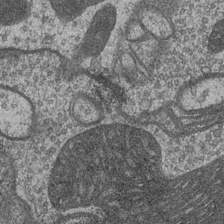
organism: Drosophila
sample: Optic medulla